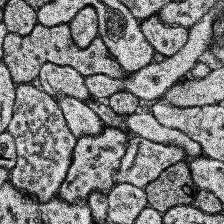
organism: Human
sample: Temporal Lobe